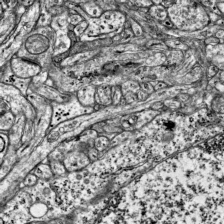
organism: Mouse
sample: Visual Cortex